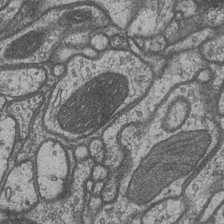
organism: Drosophila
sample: Optic medulla